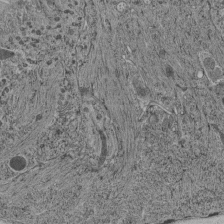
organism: C. elegans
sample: C. elegans pharynx